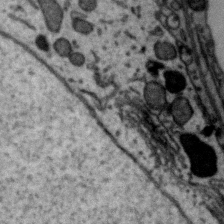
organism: Zebra finch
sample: Brain